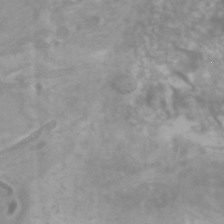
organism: Zebrafish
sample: Zebrafish embryo